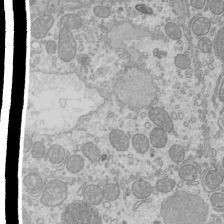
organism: Mouse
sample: Cilia; mouse epididymis